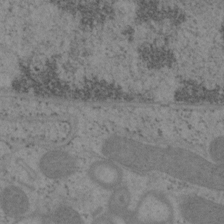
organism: Mouse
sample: OT-I killer T cells with ID8 ovarian cancer cells